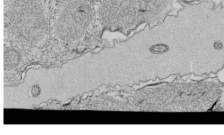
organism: Tetrahymena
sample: Cilia in tetrahymena